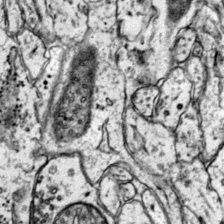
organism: Mouse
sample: Primary visual cortex